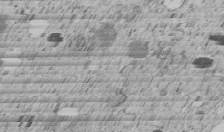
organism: C. elegans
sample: C. elegans embryo early stage